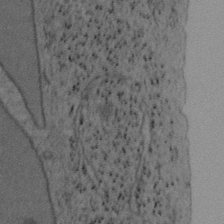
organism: Human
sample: HeLa cells